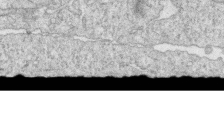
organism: Human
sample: HeLa cell HIV synapse